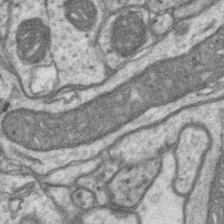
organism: Mouse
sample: CA1 Hippocampus